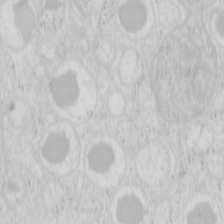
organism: Mouse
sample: Pancreas